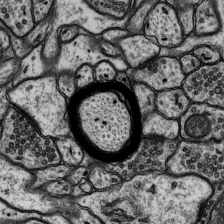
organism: Rat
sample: Hippocampus